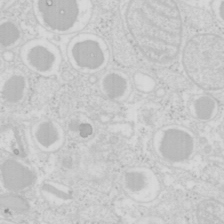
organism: Mouse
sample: Pancreas